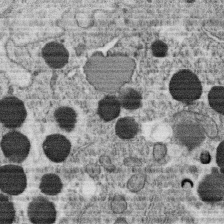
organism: C. elegans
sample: C. elegans oocyte; sperm cells